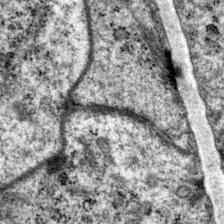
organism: P. pacificus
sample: Pharynx